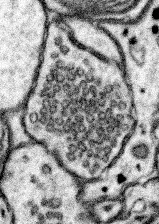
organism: Mouse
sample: Somatosensory cortex neuropil